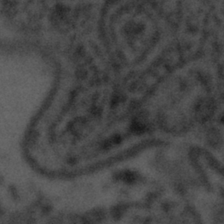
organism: Tuwongella immobilis